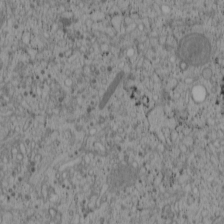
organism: African green monkey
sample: COS-7 cells